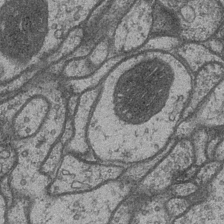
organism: Drosophila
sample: Optic medulla